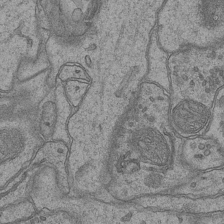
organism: Mouse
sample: CA1 Hippocampus